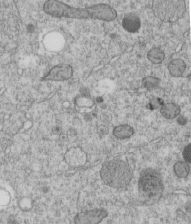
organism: C. elegans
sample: C. elegans embryo early stage